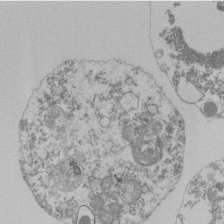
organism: Mouse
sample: Activated Pmel transgenic CD8+ T Cells